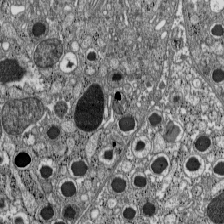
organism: C57BL Mouse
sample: Pancreatic islet